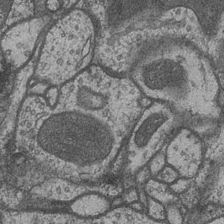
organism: Drosophila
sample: Optic medulla